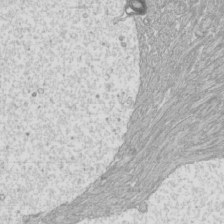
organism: Mouse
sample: Cilia; mouse epididymis